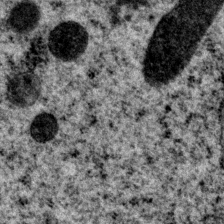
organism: P. pacificus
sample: Pharynx